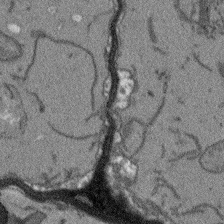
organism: Arabidopsis thaliana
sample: Root tip